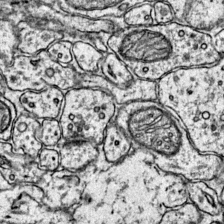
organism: Mouse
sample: Primary visual cortex